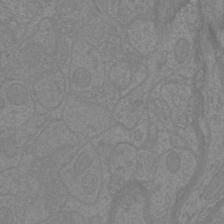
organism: Mouse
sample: Cortical neurons